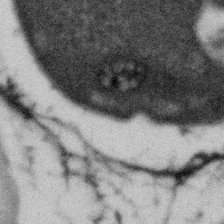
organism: Gemmata obscuriglobus